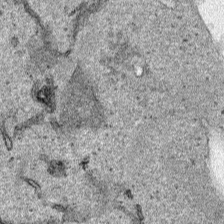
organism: Human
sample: Mitochondria in HCT116 cells